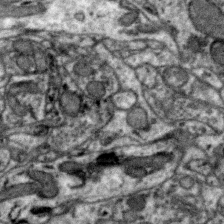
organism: Zebra finch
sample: Brain